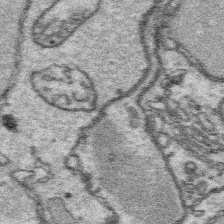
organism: Platynereis dumerilii